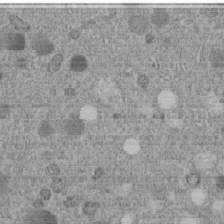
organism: C. elegans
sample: C. elegans embryo early stage